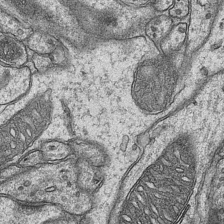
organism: Mouse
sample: CA1 Hippocampus